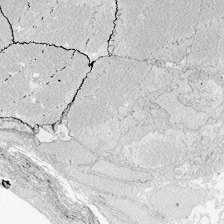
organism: Zebrafish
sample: Whole-Brain